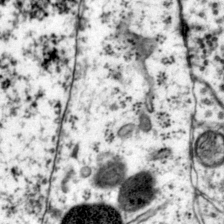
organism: Mouse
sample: Primary visual cortex